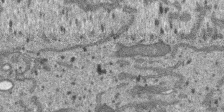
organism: Human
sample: Lung epithelial cells infected with SARS-CoV-2